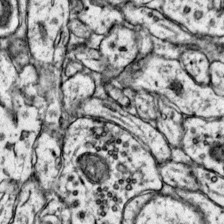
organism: Mouse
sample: Primary visual cortex